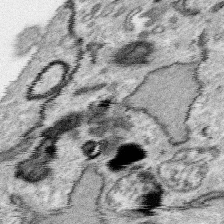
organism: Human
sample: HeLa cells